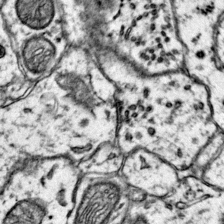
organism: Mouse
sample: Primary visual cortex